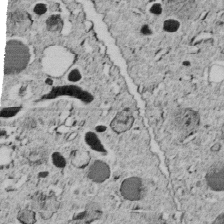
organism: C. elegans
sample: C. elegans embryo early stage